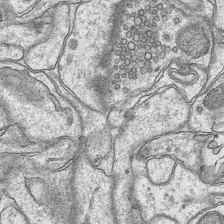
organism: Mouse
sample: CA1 Hippocampus